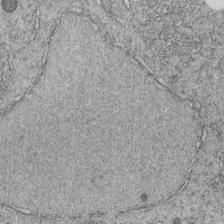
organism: C. elegans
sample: C. elegans embryo early stage